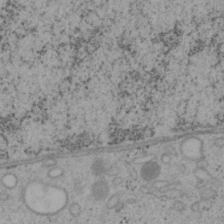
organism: Human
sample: HeLa cells